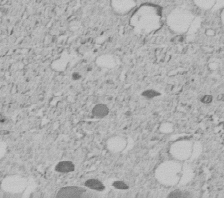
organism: C. elegans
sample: C. elegans embryo early stage